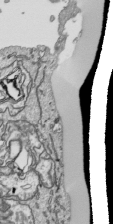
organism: Human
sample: Mitochondria in HCT116 cells